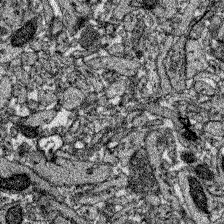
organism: Zebrafish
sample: Larval olfactory bulb